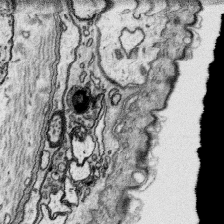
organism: Platynereis dumerilii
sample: Parapodia